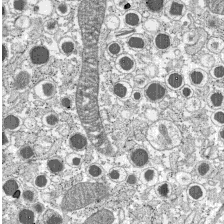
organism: C57BL Mouse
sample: Pancreatic islet